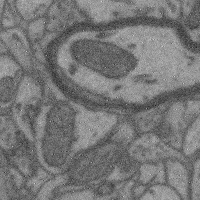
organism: Mouse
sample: Cerebral cortex